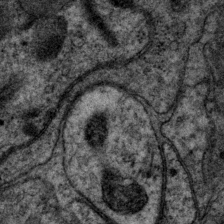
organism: P. pacificus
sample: Pharynx